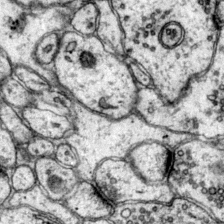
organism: Mouse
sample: Primary visual cortex